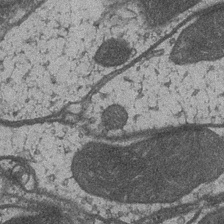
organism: Drosophila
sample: Optic medulla